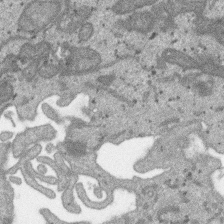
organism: Human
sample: Lung epithelial cells infected with SARS-CoV-2